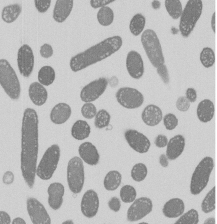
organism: E. coli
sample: Bacterial nucleoid